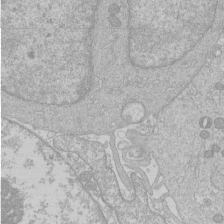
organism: Human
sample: Macrophage cells